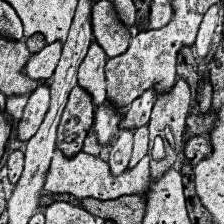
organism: Human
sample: Temporal Lobe